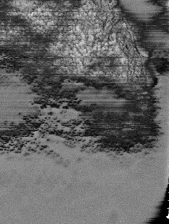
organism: Tetrahymena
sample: Cilia in tetrahymena